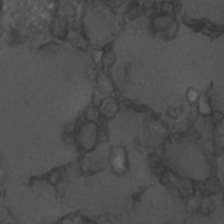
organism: C. elegans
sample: C. elegans embryo